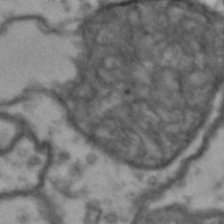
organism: Drosophila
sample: Brain